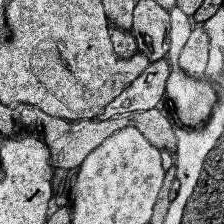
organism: Human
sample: Temporal Lobe